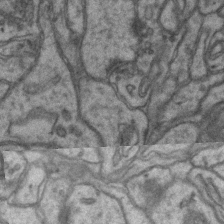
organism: Mouse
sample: CA1 Hippocampus